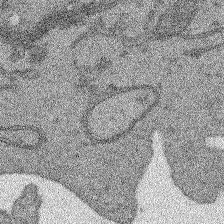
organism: Human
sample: HeLa cells